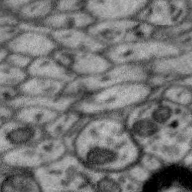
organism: Zebra finch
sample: Brain